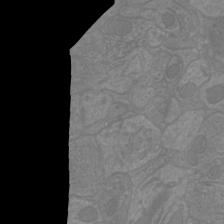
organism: Mouse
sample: Cortical neurons